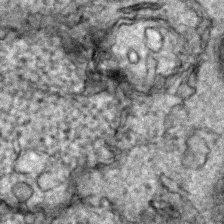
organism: Zebrafish